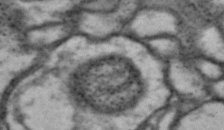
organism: Drosophila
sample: Brain